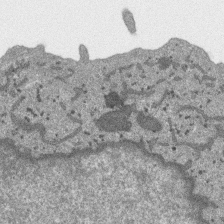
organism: Human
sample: Lung epithelial cells infected with SARS-CoV-2